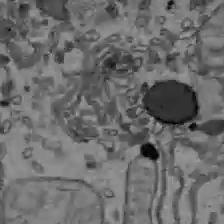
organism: C57BL Mouse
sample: Liver